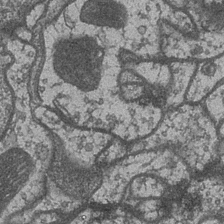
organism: Drosophila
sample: Optic medulla